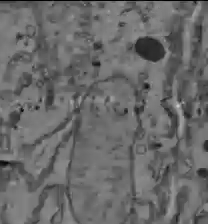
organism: C57BL Mouse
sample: Liver